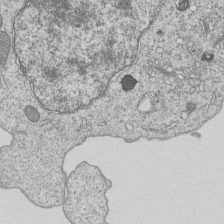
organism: Human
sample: MDA-MB-231 cells